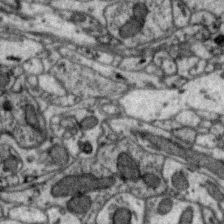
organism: Zebra finch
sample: Brain